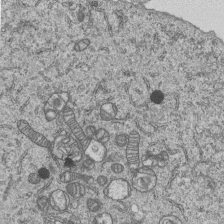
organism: Human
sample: MDA-MB-231 cells